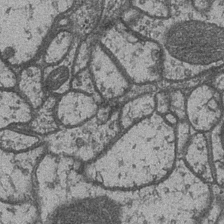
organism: Drosophila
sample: Optic medulla